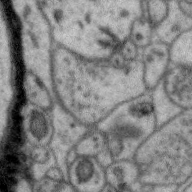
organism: Zebra finch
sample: Brain